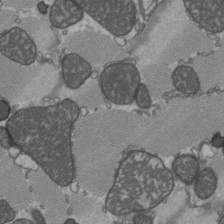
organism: C57BL Mouse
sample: Heart